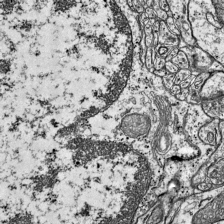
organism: Mouse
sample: Visual Cortex